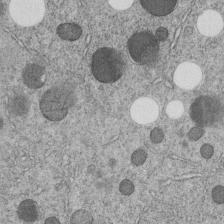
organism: C. elegans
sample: C. elegans embryo early stage